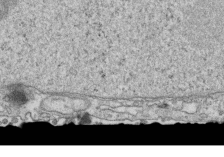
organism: Human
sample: HeLa cell HIV synapse